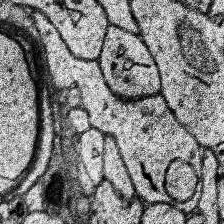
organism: Human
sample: Temporal Lobe